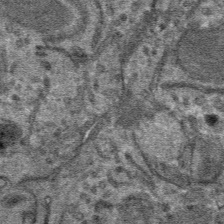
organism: Mouse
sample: Mouse hepatocytes